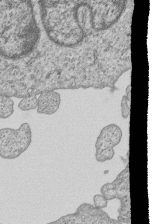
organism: Human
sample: MDA-MB-231 cells